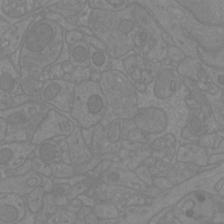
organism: Mouse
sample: Cortical neurons